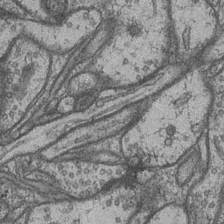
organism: Drosophila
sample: Optic medulla